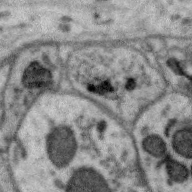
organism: Zebra finch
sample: Brain